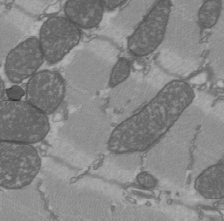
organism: C57BL Mouse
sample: Heart